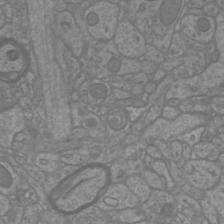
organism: Mouse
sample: Cortical neurons